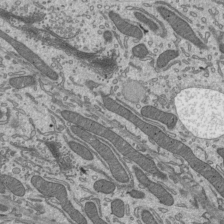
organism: Mouse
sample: Mouse epididymis efferent ductule cilia